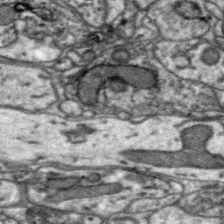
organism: Zebra finch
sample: Brain